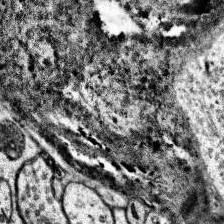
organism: Human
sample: Temporal Lobe